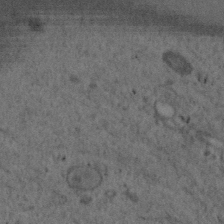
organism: Human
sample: HeLa cells